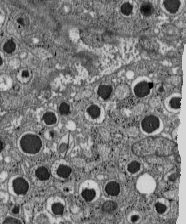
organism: C57BL Mouse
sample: Pancreatic islet